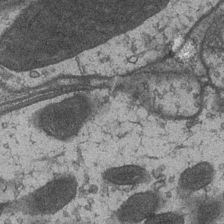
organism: Drosophila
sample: Optic medulla